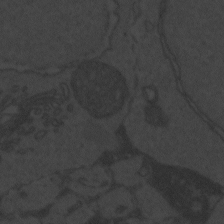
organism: Zebrafish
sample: Macrophage infected with Toxoplasma gondii